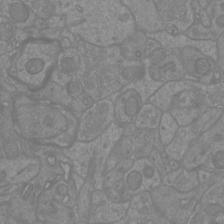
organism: Mouse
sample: Cortical neurons